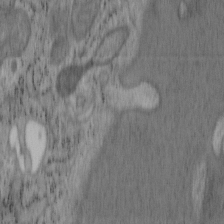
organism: Human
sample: HeLa cells